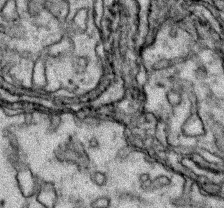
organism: Zebrafish